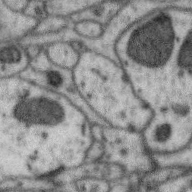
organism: Zebra finch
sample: Brain